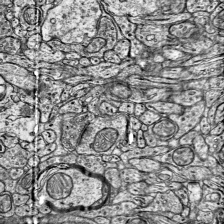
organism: Mouse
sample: Visual Cortex